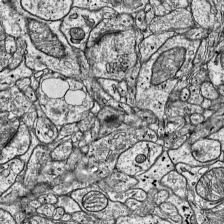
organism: Mouse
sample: Visual Cortex